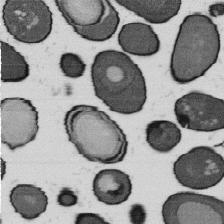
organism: B. subtilis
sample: Bacterial spore